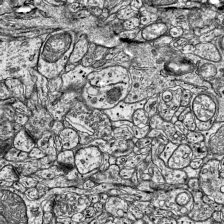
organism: Mouse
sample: Visual Cortex